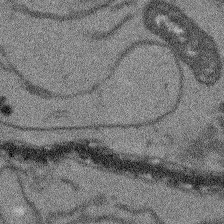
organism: Arabidopsis thaliana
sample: Root tip